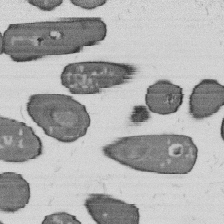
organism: B. subtilis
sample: Bacterial spore